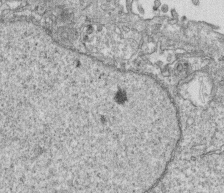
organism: Human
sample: HeLa cell HIV synapse